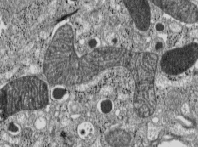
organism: C57BL Mouse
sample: Pancreatic islet